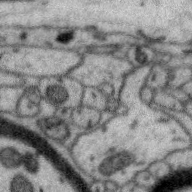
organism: Zebra finch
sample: Brain